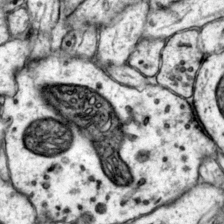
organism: Mouse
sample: Primary visual cortex